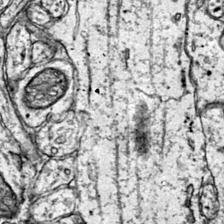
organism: Mouse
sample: Primary visual cortex